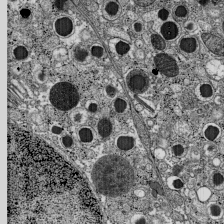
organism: C57BL Mouse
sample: Pancreatic islet